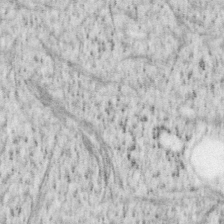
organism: Mouse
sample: OT-I killer T cells with ID8 ovarian cancer cells